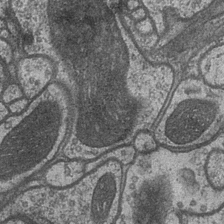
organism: Drosophila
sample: Optic medulla